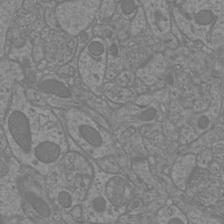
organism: Mouse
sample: Cortical neurons